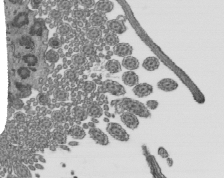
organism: Mouse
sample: Mouse epididymis efferent ductule cilia